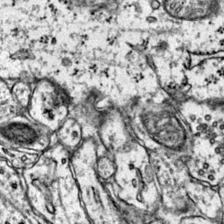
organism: Mouse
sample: Primary visual cortex